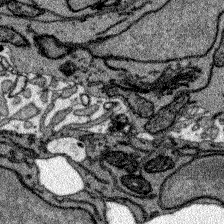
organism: Zebrafish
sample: Larval olfactory bulb